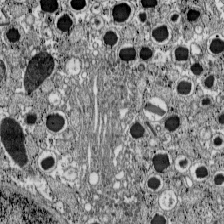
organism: C57BL Mouse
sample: Pancreatic islet